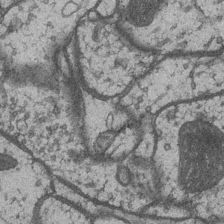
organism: Drosophila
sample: Optic medulla